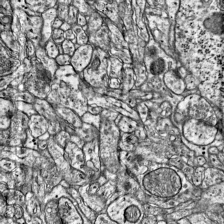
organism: Mouse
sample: Visual Cortex